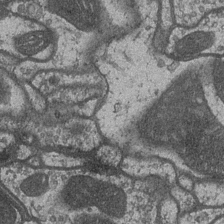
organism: Drosophila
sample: Optic medulla